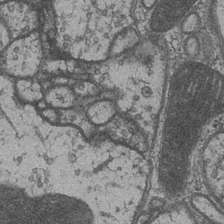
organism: Drosophila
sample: Optic medulla